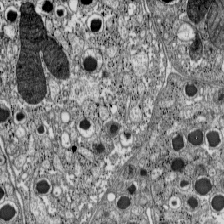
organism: C57BL Mouse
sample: Pancreatic islet